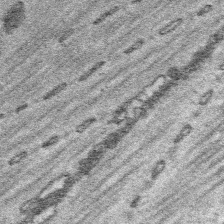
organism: Platynereis dumerilii